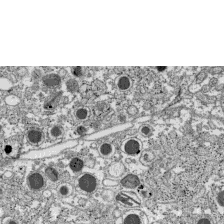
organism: C57BL Mouse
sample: Pancreatic islet